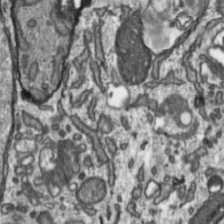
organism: Toxoplasma gondii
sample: Parasites in a vacuole inside a host cell